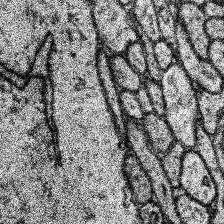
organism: Human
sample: Temporal Lobe